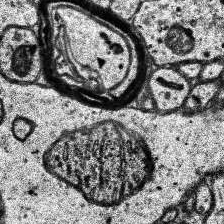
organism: Human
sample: Temporal Lobe